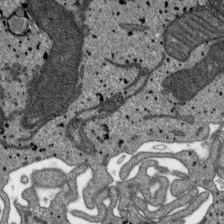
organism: Human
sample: Lung epithelial cells, uninfected (mock) control